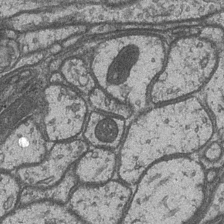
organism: Drosophila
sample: Optic medulla